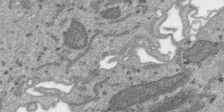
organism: Human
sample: Lung epithelial cells infected with SARS-CoV-2